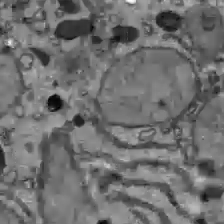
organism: C57BL Mouse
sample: Liver